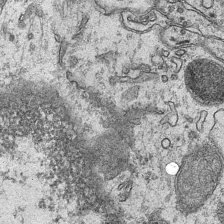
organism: Mouse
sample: CA1 Hippocampus